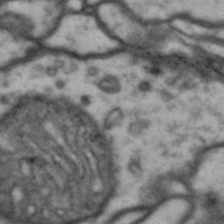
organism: Drosophila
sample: Brain